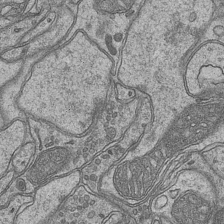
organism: Mouse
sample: CA1 Hippocampus